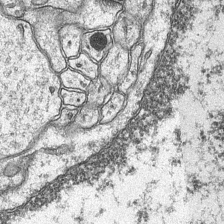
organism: Mouse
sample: CA1 Hippocampus